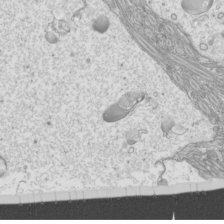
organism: Mouse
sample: Cilia; mouse epididymis